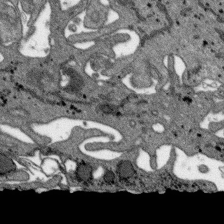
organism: Human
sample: Lung epithelial cells, uninfected (mock) control